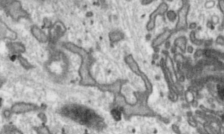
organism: Toxoplasma gondii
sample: Parasites in a vacuole inside a host cell